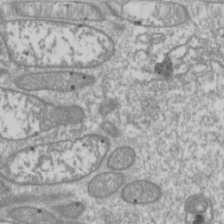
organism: Drosophila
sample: Cell division; meiosis; drosophila spermatocytes